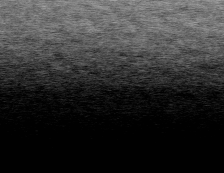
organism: Human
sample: HeLa cells